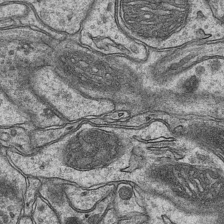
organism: Mouse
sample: CA1 Hippocampus